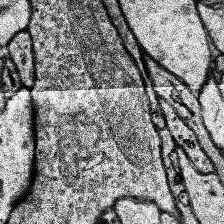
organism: Human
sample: Temporal Lobe